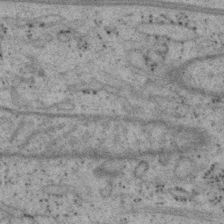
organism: Human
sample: HeLa cells